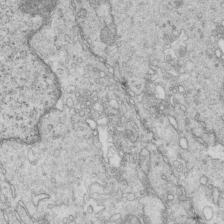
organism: Mouse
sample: Multiciliated cells